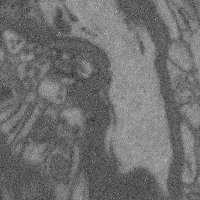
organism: Mouse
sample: Cerebral cortex